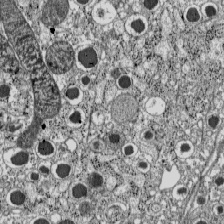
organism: C57BL Mouse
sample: Pancreatic islet